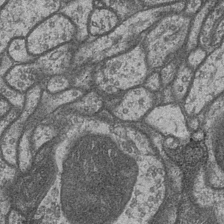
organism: Drosophila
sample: Optic medulla